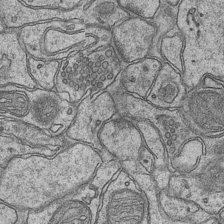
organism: Mouse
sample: CA1 Hippocampus